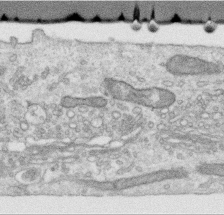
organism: Human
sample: Centriole in RPE cells